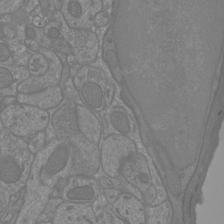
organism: Mouse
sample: Cortical neurons